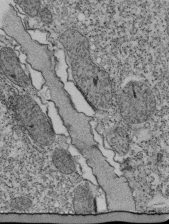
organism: Tetrahymena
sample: Cilia in tetrahymena